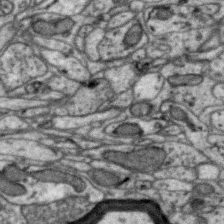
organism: Zebra finch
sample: Brain